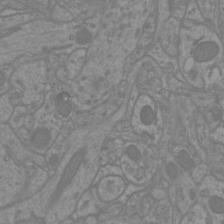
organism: Mouse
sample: Cortical neurons